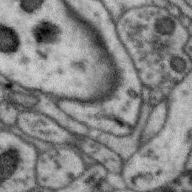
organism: Zebra finch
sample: Brain